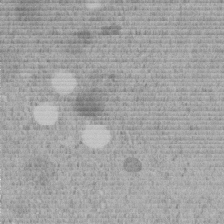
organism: C. elegans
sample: C. elegans embryo early stage